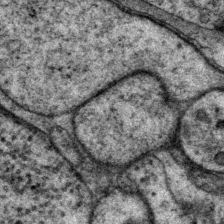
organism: P. pacificus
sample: Pharynx